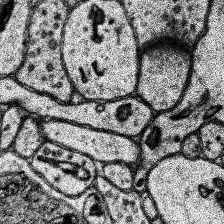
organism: Human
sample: Temporal Lobe